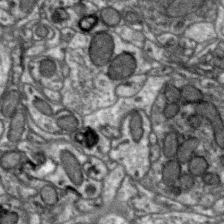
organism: Zebra finch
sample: Brain